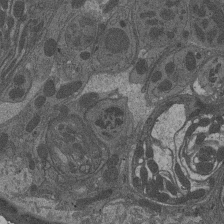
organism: Drosophila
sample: Antenna